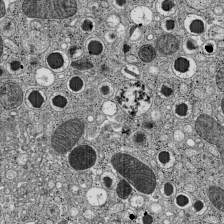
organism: C57BL Mouse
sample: Pancreatic islet